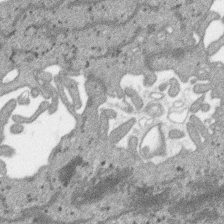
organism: Human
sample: Lung epithelial cells infected with SARS-CoV-2